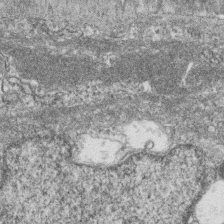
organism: Zebrafish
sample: Cilia; retinal pigment epithelium